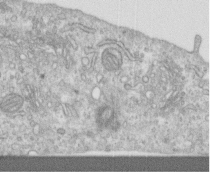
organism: Human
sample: Centriole in RPE cells